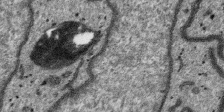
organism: Human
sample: Lung epithelial cells, uninfected (mock) control